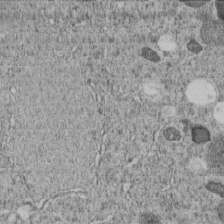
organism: C. elegans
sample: C. elegans embryo early stage